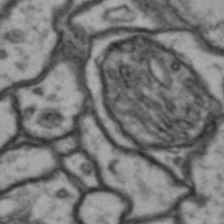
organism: Drosophila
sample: Brain